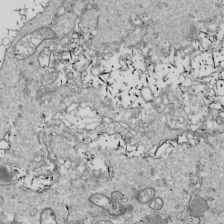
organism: Drosophila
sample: Cell division; meiosis; drosophila spermatocytes